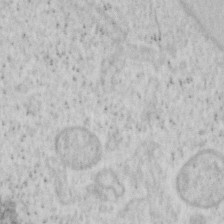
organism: Human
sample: HeLa cells